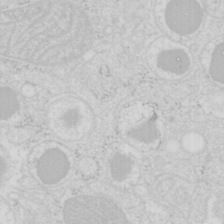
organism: Mouse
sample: Pancreas